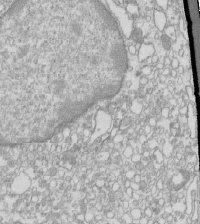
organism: Mouse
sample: Macrophages